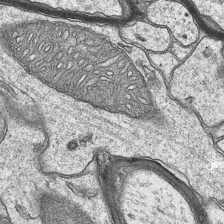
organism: Mouse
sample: CA1 Hippocampus